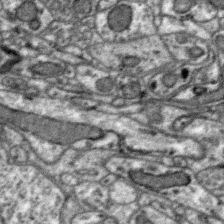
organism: Zebra finch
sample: Brain